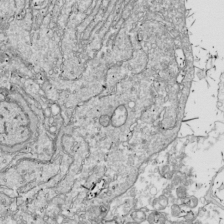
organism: Drosophila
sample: Cell division; meiosis; drosophila spermatocytes